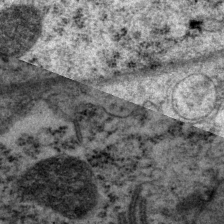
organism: P. pacificus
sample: Pharynx